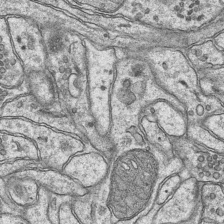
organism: Mouse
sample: CA1 Hippocampus